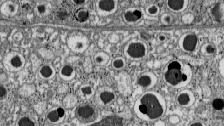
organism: C57BL Mouse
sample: Pancreatic islet